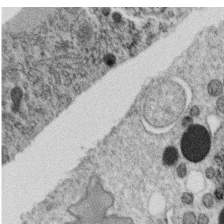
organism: C. elegans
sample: C. elegans oocyte; sperm cells